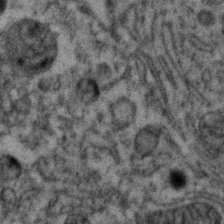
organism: Zebrafish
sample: Zebrafish embryo